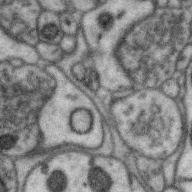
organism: Zebra finch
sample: Brain